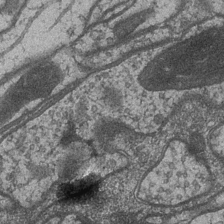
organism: Drosophila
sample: Optic medulla